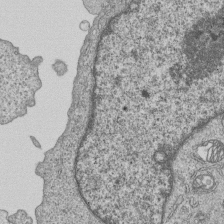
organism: Human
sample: MDA-MB-231 cells